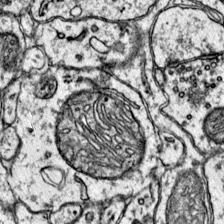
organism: Mouse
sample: Primary visual cortex